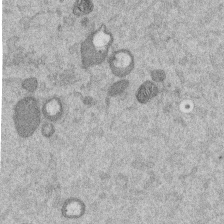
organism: Mouse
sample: Dividing mouse embryo 1 cell stage